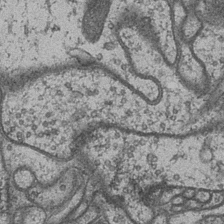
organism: Drosophila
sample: Optic medulla